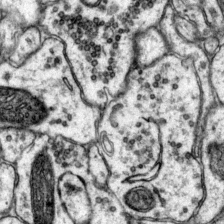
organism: Mouse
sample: Primary visual cortex